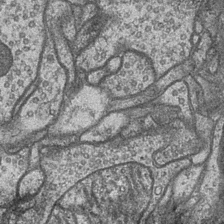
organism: Drosophila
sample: Optic medulla